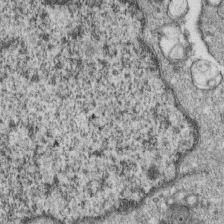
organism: African green monkey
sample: Vero E6 cells infected with SARS-CoV-2